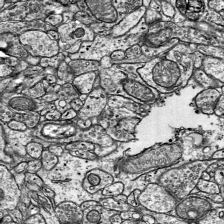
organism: Mouse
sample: Visual Cortex